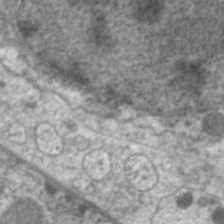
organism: C. elegans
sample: Pharynx